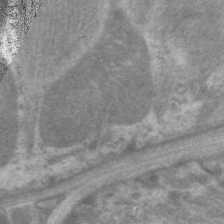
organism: C. elegans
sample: Pharynx